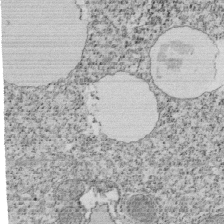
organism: Tetrahymena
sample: Cilia in tetrahymena